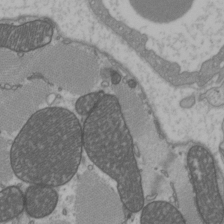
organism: C57BL Mouse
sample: Heart